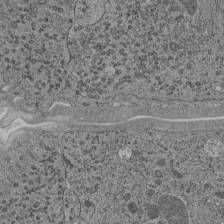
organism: C. elegans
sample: C. elegans pharynx